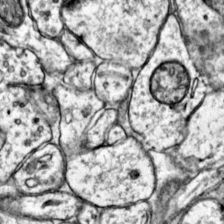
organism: Mouse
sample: Primary visual cortex